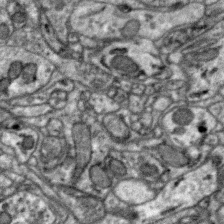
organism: Zebra finch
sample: Brain